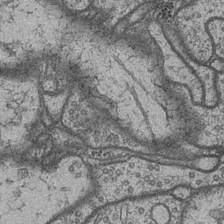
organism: Drosophila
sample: Optic medulla